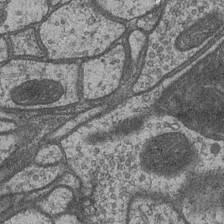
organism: Drosophila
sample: Optic medulla